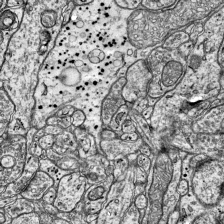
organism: Mouse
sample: Visual Cortex